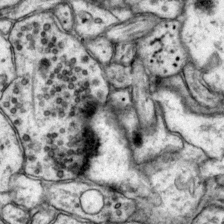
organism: Mouse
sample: Primary visual cortex